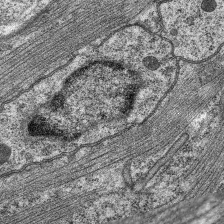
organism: C. elegans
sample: Pharynx